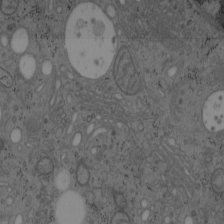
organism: Mouse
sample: OT-I killer T cells with ID8 ovarian cancer cells